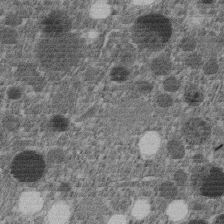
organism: C. elegans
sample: C. elegans embryo early stage